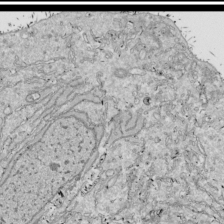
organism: Drosophila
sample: Cell division; meiosis; drosophila spermatocytes